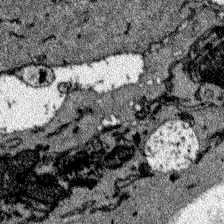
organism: Zebrafish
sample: Larval olfactory bulb